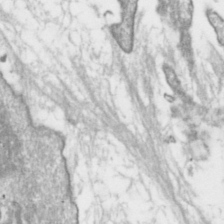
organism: Toxoplasma gondii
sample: Parasites in a vacuole inside a host cell